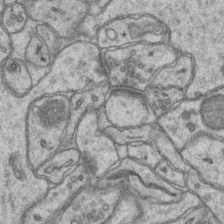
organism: Mouse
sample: CA1 Hippocampus